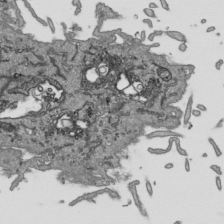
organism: Human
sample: Mitochondria in HCT116 cells